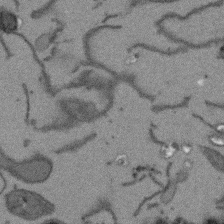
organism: Arabidopsis thaliana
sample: Root tip